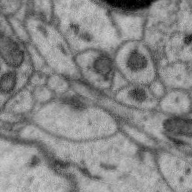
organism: Zebra finch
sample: Brain